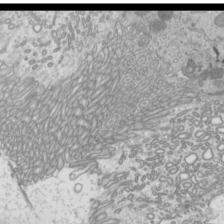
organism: Mouse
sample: Cilia; mouse epididymis